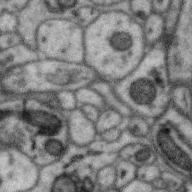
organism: Zebra finch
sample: Brain